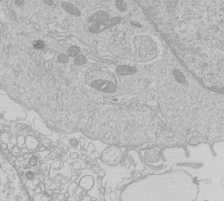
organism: Human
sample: Macrophage cells